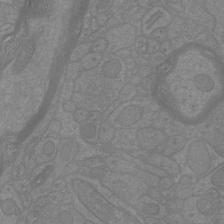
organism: Mouse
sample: Cortical neurons